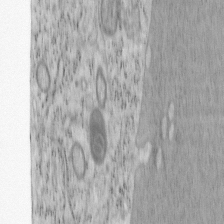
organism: Human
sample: HeLa cells